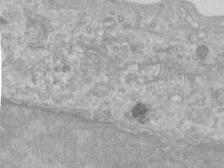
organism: Human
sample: Centriole in RPE cells